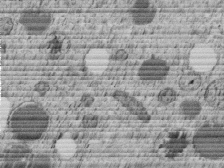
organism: C. elegans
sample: C. elegans embryo early stage